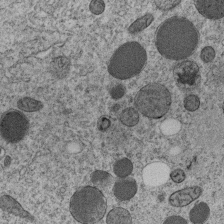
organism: C. elegans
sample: C. elegans embryo early stage